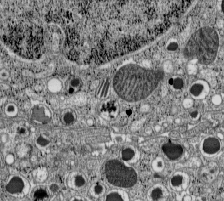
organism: C57BL Mouse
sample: Pancreatic islet